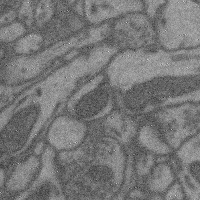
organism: Mouse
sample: Cerebral cortex